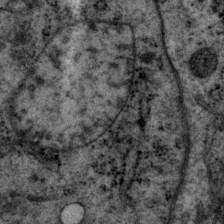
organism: P. pacificus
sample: Pharynx